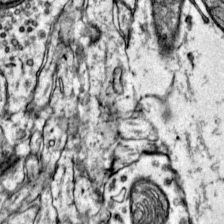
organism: Mouse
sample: Primary visual cortex